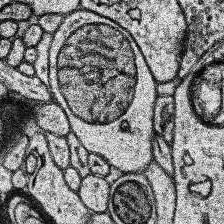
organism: Human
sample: Temporal Lobe